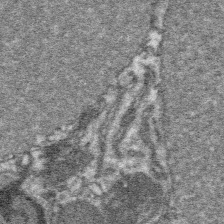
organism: Platynereis dumerilii